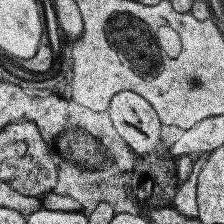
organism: Human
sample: Temporal Lobe